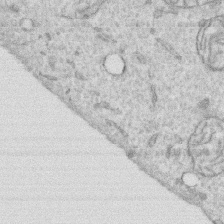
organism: Human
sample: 1205lu cells